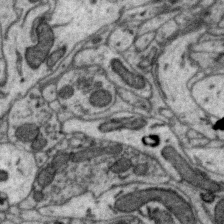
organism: Zebra finch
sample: Brain